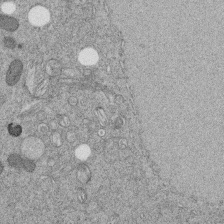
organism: C. elegans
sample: C. elegans embryo early stage